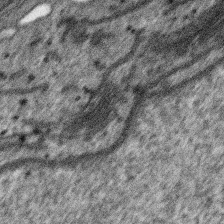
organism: Human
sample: Lung epithelial cells infected with SARS-CoV-2